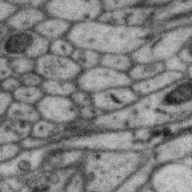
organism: Zebra finch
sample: Brain